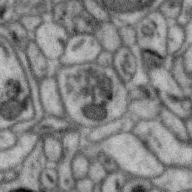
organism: Zebra finch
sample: Brain